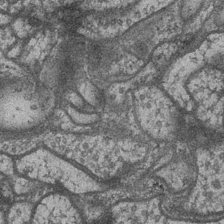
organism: Drosophila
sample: Optic medulla